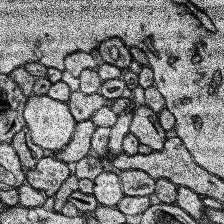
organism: Human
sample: Temporal Lobe